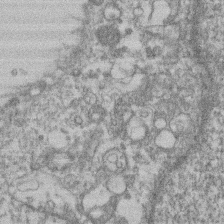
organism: Mouse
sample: T cell stromal cell synapse